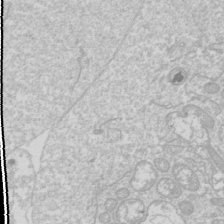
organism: Drosophila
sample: Cell division; meiosis; drosophila spermatocytes